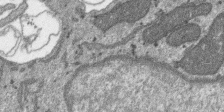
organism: Human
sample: Lung epithelial cells infected with SARS-CoV-2